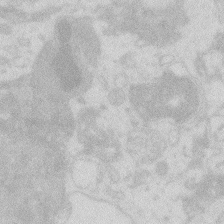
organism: Zebrafish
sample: Macrophage